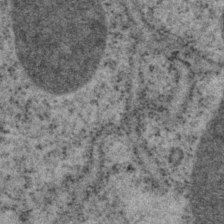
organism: P. pacificus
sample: Pharynx